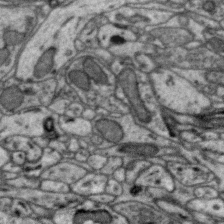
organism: Zebra finch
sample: Brain